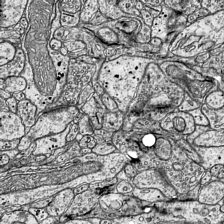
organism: Mouse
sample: Visual Cortex